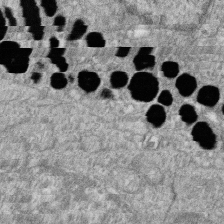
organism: Zebrafish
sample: Cilia; retinal pigment epithelium